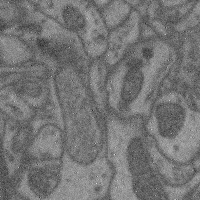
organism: Mouse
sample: Cerebral cortex